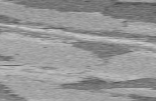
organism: C57BL Mouse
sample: Heart